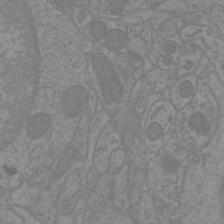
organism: Mouse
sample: Cortical neurons